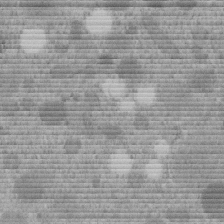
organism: C. elegans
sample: C. elegans embryo early stage